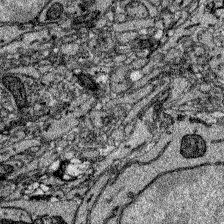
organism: Zebrafish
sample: Larval olfactory bulb